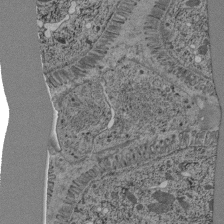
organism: C. elegans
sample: C. elegans pharynx